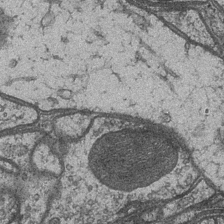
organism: Drosophila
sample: Optic medulla